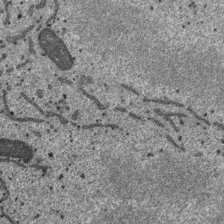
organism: Human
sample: Lung epithelial cells infected with SARS-CoV-2